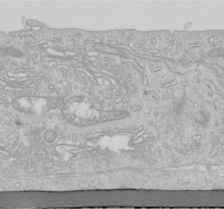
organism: Human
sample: Centriole in RPE cells